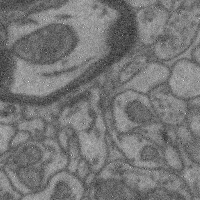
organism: Mouse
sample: Cerebral cortex